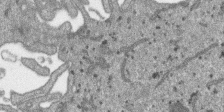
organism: Human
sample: Lung epithelial cells infected with SARS-CoV-2